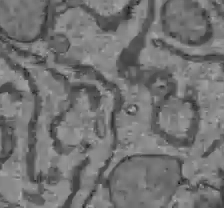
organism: C57BL Mouse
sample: Liver